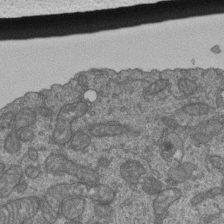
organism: Human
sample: Retinal organoid Rod and Cone cells